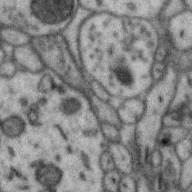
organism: Zebra finch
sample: Brain